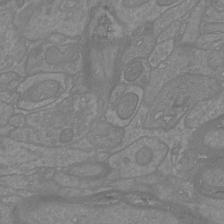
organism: Mouse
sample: Cortical neurons